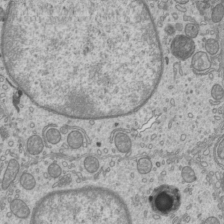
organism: Mouse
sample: Cilia; mouse epididymis